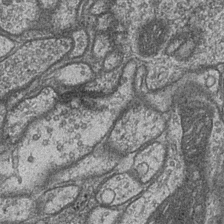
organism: Drosophila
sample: Optic medulla